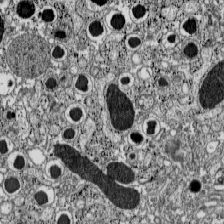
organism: C57BL Mouse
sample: Pancreatic islet